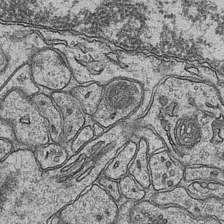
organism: Mouse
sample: CA1 Hippocampus